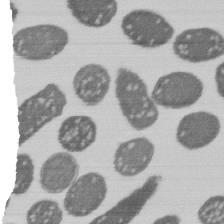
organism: E. coli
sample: Bacterial nucleoid